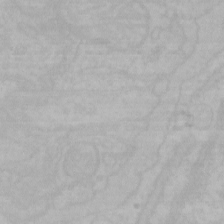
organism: Mouse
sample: Choroid plexus